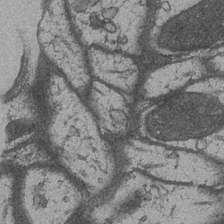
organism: Drosophila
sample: Optic medulla